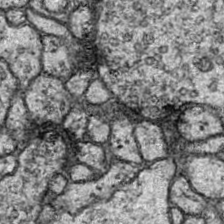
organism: Drosophila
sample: Ventral Nerve Cord